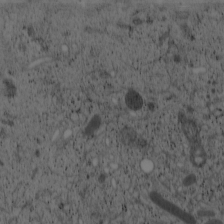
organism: African green monkey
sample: COS-7 cells